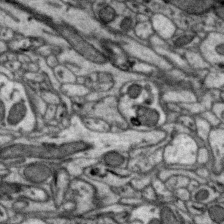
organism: Zebra finch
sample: Brain